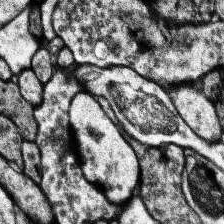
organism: Human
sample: Temporal Lobe